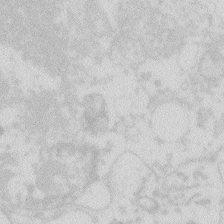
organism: Zebrafish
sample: Macrophage